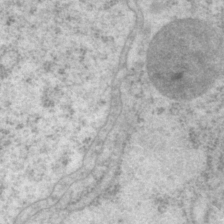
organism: P. pacificus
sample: Pharynx